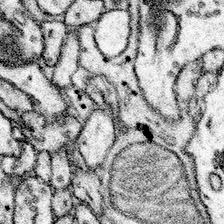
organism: Mouse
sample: Somatosensory cortex neuropil